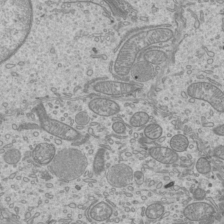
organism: Mouse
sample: Cilia; mouse epididymis